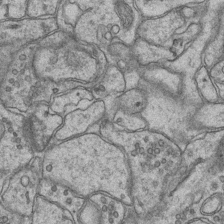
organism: Mouse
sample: CA1 Hippocampus